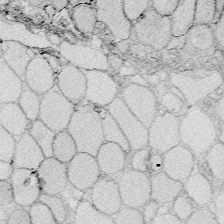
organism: Zebrafish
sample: Whole-Brain